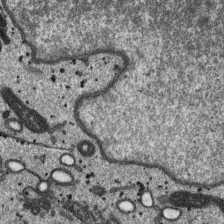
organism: Human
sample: Lung epithelial cells infected with SARS-CoV-2